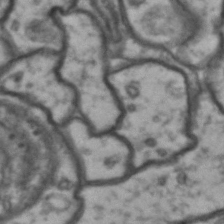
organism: Drosophila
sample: Brain